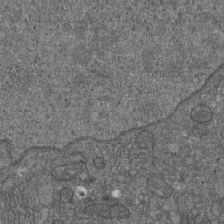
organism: Drosophila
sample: Nephrocyte